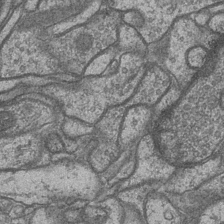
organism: Drosophila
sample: Optic medulla